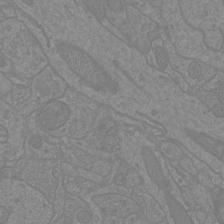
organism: Mouse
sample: Cortical neurons